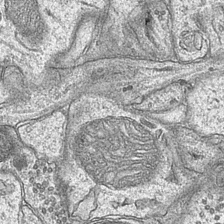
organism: Mouse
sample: CA1 Hippocampus